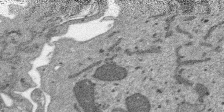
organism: Human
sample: Lung epithelial cells infected with SARS-CoV-2